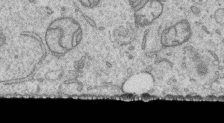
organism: Human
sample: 1205lu cells